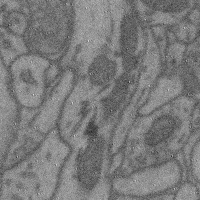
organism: Mouse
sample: Cerebral cortex